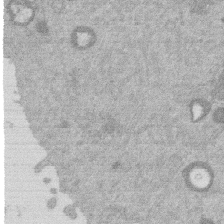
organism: Mouse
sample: Dividing mouse embryo 1 cell stage